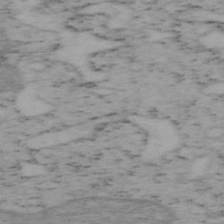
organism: Mouse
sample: OT-I killer T cells with ID8 ovarian cancer cells